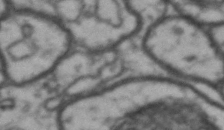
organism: Drosophila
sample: Brain